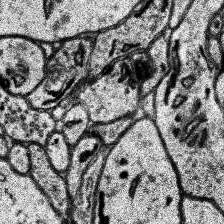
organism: Human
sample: Temporal Lobe